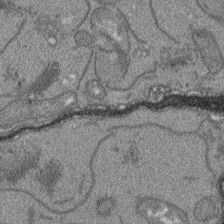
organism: Arabidopsis thaliana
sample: Root tip